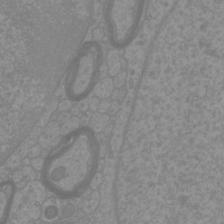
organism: Mouse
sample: Cortical neurons